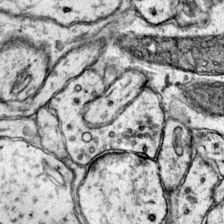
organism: Mouse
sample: Primary visual cortex